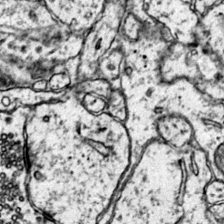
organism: Mouse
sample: Primary visual cortex